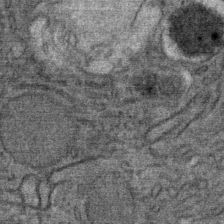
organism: Mouse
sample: Mouse Salivary gland